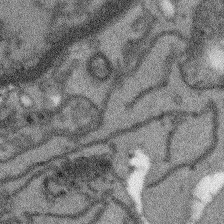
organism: Arabidopsis thaliana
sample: Root tip